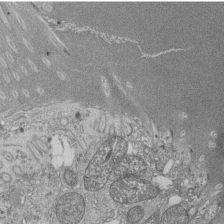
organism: Tetrahymena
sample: Cilia in tetrahymena